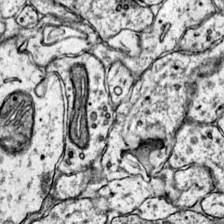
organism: Mouse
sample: Primary visual cortex